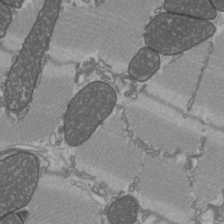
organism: C57BL Mouse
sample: Heart